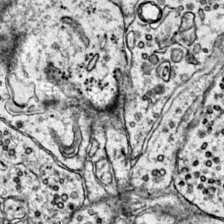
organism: Mouse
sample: Primary visual cortex